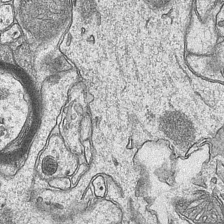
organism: Mouse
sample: CA1 Hippocampus